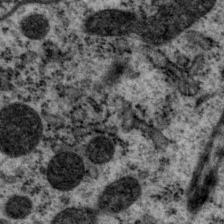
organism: P. pacificus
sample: Pharynx